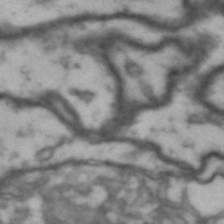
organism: Drosophila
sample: Brain